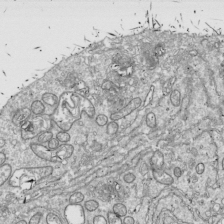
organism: Drosophila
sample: Cell division; meiosis; drosophila spermatocytes